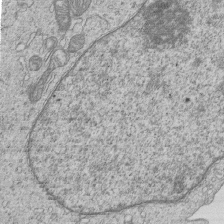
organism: Human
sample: MDA-MB-231 cells